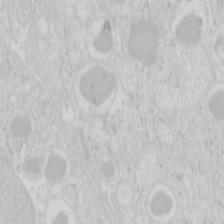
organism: Mouse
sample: Pancreas